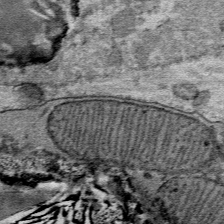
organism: Mouse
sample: Mouse Salivary gland